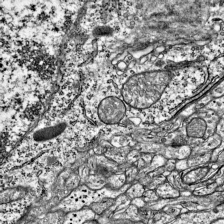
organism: Mouse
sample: Visual Cortex